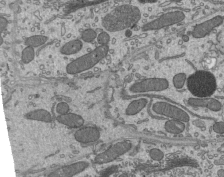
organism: Mouse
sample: Mouse epididymis efferent ductule cilia